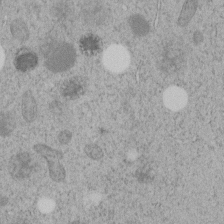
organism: C. elegans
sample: C. elegans embryo early stage